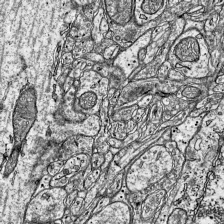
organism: Mouse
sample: Visual Cortex